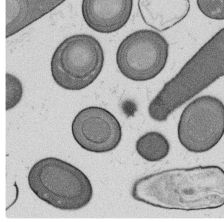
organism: B. subtilis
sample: Bacterial spore